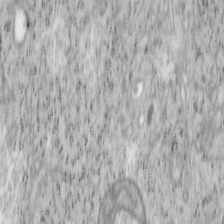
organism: Human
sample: HeLa cells